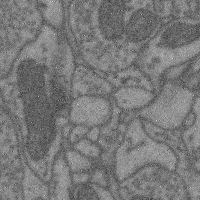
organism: Mouse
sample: Cerebral cortex